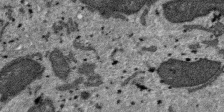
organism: Human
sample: Lung epithelial cells, uninfected (mock) control